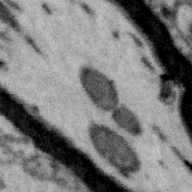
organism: Zebra finch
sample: Brain